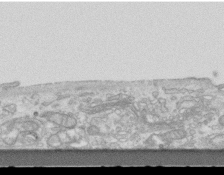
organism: Mouse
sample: Centriole in ependymal cells